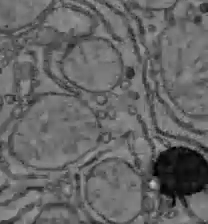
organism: C57BL Mouse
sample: Liver